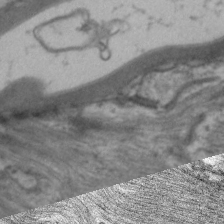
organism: C. elegans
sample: Pharynx